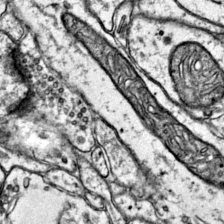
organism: Mouse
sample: Primary visual cortex